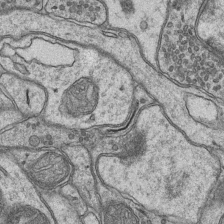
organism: Mouse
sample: CA1 Hippocampus